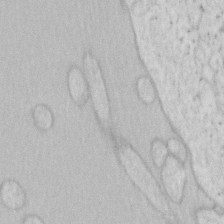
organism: Human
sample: HeLa cells